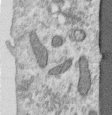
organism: Human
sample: Centriole in RPE cells